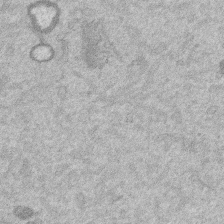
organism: Mouse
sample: Dividing mouse embryo 1 cell stage